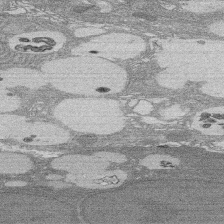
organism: Rat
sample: Salivary granule